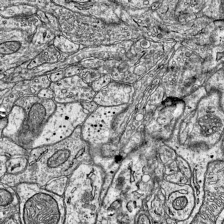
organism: Mouse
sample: Visual Cortex